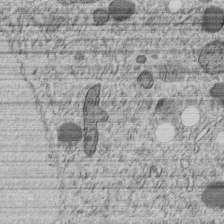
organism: C. elegans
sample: C. elegans embryo early stage